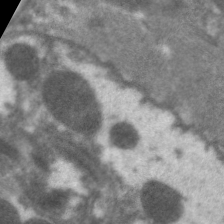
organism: C. elegans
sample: Pharynx